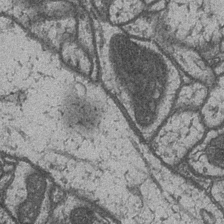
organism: Drosophila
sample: Optic medulla